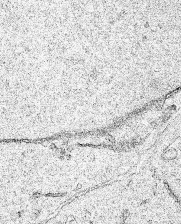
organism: Human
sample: Mitochondria in HCT116 cells